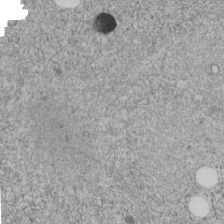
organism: C. elegans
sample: C. elegans embryo early stage